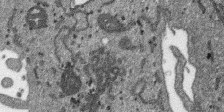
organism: Human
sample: Lung epithelial cells infected with SARS-CoV-2